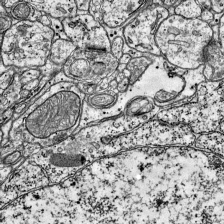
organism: Mouse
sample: Visual Cortex